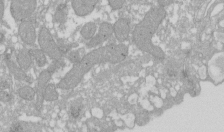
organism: Xenopus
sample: Cilia; centrioles in frog embryo cells